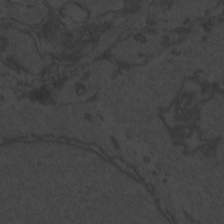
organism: Zebrafish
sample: Macrophage infected with Toxoplasma gondii